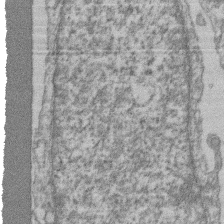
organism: Mouse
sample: T cell stromal cell synapse